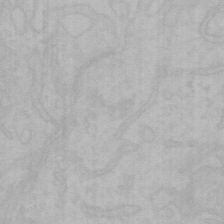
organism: Mouse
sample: Choroid plexus